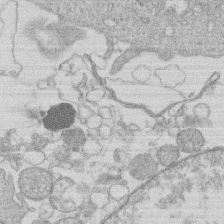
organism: Human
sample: Macrophage cells